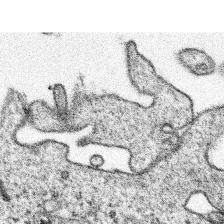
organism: Human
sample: HeLa cells